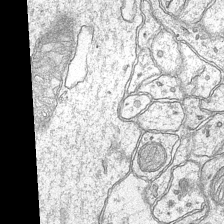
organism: Mouse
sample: CA1 Hippocampus